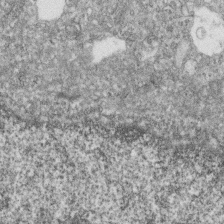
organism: Zebrafish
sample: Cilia; retinal pigment epithelium